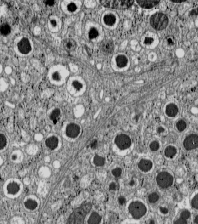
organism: C57BL Mouse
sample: Pancreatic islet